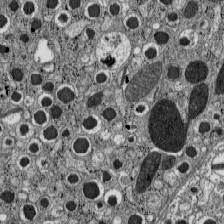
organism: C57BL Mouse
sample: Pancreatic islet